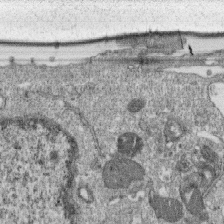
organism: African green monkey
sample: Vero E6 cells infected with SARS-CoV-2